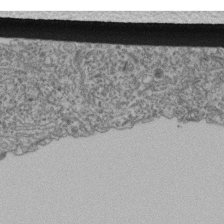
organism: Human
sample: Retinal organoid Rod and Cone cells